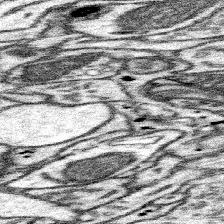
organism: Mouse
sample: Somatosensory cortex neuropil